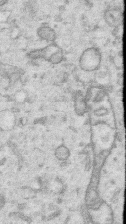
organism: Human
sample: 1205lu cells